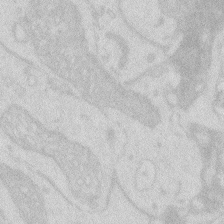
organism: Zebrafish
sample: Macrophage